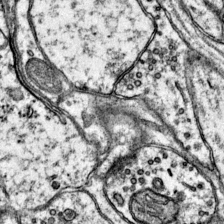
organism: Mouse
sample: Primary visual cortex